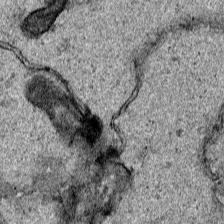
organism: Human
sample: Mitochondria in HCT116 cells